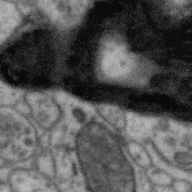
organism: Zebra finch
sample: Brain